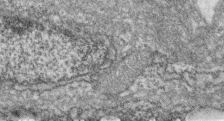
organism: Zebrafish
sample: Cilia; retinal pigment epithelium